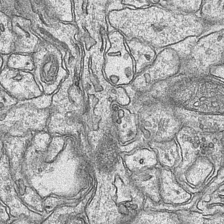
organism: Mouse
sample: CA1 Hippocampus